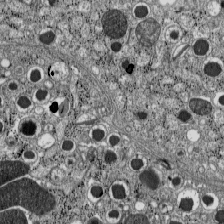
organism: C57BL Mouse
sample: Pancreatic islet